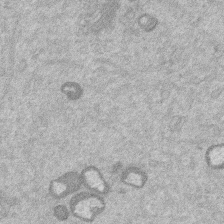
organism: Mouse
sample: Dividing mouse embryo 1 cell stage